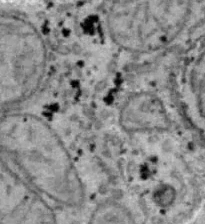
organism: Mouse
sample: Liver from an obese (ob/ob) mouse